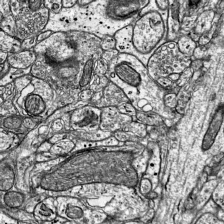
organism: Mouse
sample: Visual Cortex